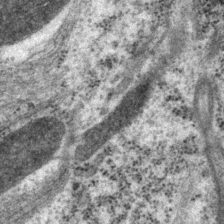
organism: P. pacificus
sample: Pharynx